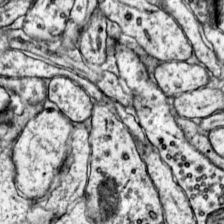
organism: Mouse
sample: Primary visual cortex